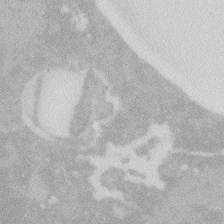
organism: Zebrafish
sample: Macrophage